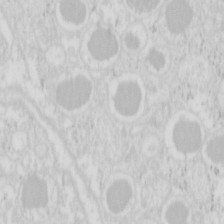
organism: Mouse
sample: Pancreas